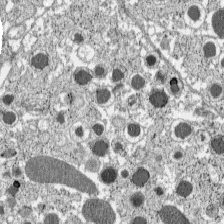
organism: C57BL Mouse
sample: Pancreatic islet